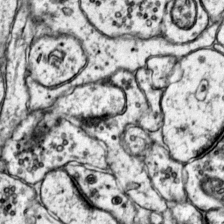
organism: Mouse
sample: Primary visual cortex